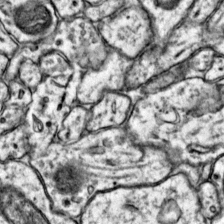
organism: Mouse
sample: Primary visual cortex